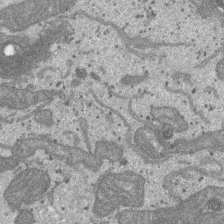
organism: Human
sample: Lung epithelial cells infected with SARS-CoV-2